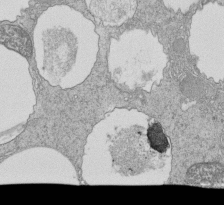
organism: Tetrahymena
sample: Cilia in tetrahymena